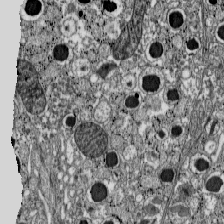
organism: C57BL Mouse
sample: Pancreatic islet